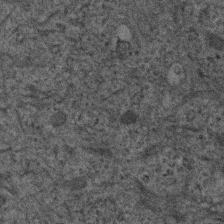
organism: Human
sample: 1205lu cells